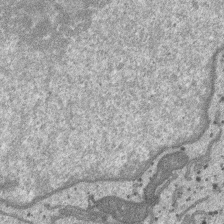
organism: Human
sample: Lung epithelial cells infected with SARS-CoV-2